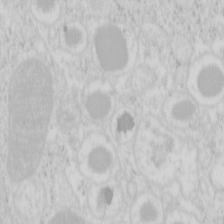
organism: Mouse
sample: Pancreas